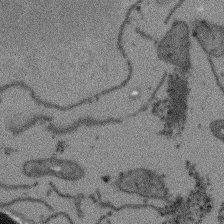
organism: Arabidopsis thaliana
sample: Root tip